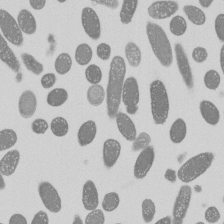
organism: E. coli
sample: Bacterial nucleoid